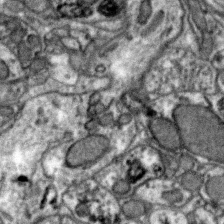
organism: Zebra finch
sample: Brain